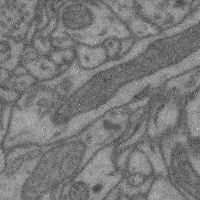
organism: Mouse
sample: Cerebral cortex